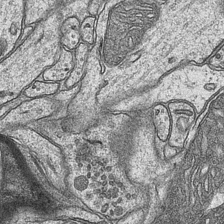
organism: Mouse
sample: CA1 Hippocampus